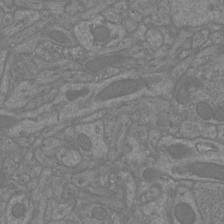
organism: Mouse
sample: Cortical neurons